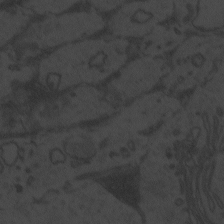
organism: Zebrafish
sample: Macrophage infected with Toxoplasma gondii